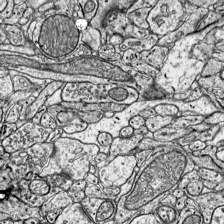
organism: Mouse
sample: Visual Cortex